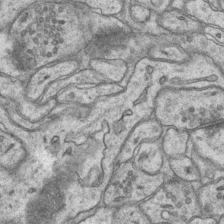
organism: Mouse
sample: CA1 Hippocampus